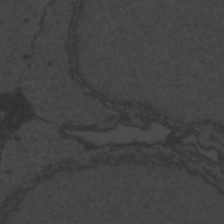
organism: Zebrafish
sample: Macrophage infected with Toxoplasma gondii